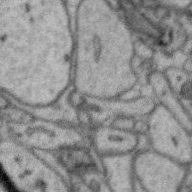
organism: Zebra finch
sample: Brain